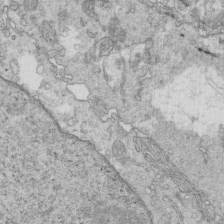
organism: Mouse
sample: Multiciliated cells